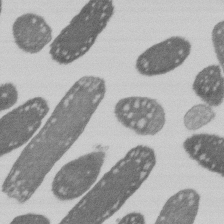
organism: E. coli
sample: Bacterial nucleoid